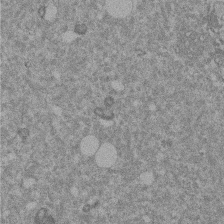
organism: Mouse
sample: Dividing mouse embryo 1 cell stage